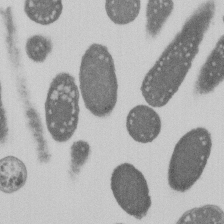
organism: E. coli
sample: Bacterial nucleoid